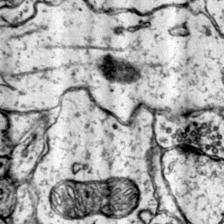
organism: Mouse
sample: Primary visual cortex